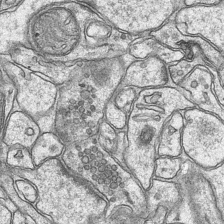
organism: Mouse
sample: CA1 Hippocampus